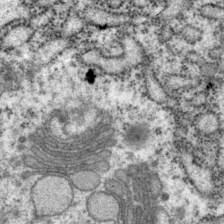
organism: P. pacificus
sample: Pharynx